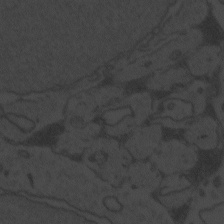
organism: Zebrafish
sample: Macrophage infected with Toxoplasma gondii